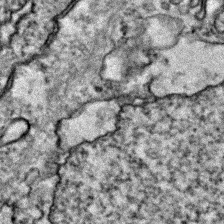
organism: Zebrafish